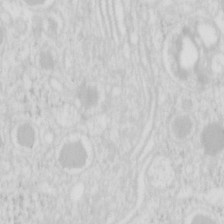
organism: Mouse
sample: Pancreas